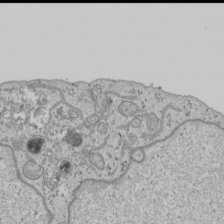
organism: Human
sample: Mitochondria in U2OS cells